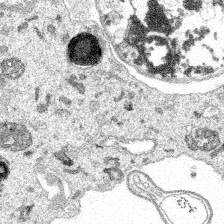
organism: Spongilla lacustris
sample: Multiple